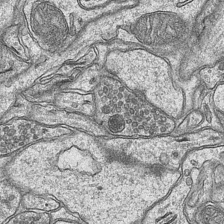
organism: Mouse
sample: CA1 Hippocampus